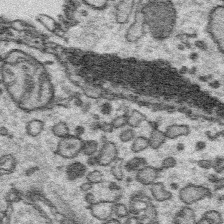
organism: Platynereis dumerilii